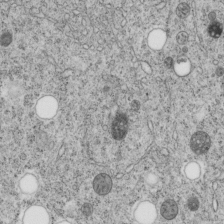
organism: C. elegans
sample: C. elegans embryo early stage